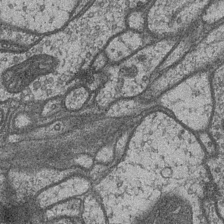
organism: Drosophila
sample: Optic medulla